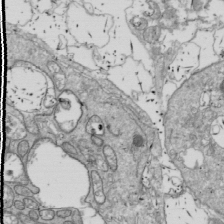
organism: Drosophila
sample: Cell division; meiosis; drosophila spermatocytes